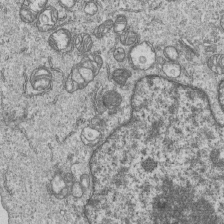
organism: Human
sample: MDA-MB-231 cells